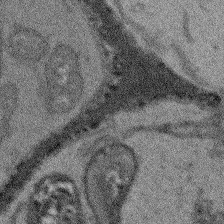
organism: Arabidopsis thaliana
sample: Root tip